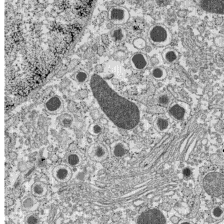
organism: C57BL Mouse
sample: Pancreatic islet